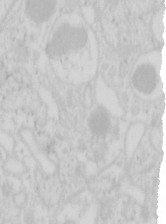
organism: Mouse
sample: Pancreas